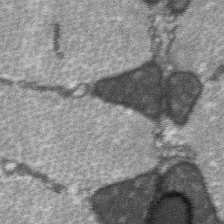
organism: C57BL Mouse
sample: Soleus